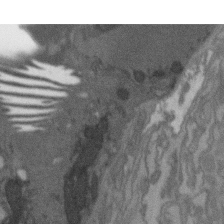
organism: C. elegans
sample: AFD neurons C. elegans